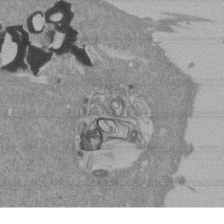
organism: Mouse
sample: ED-1 cell nuclei; centrioles